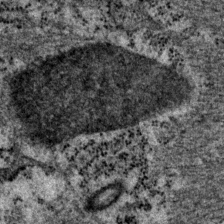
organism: P. pacificus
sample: Pharynx